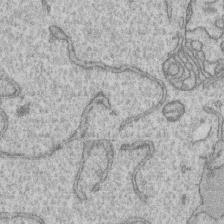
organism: Human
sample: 1205lu cells